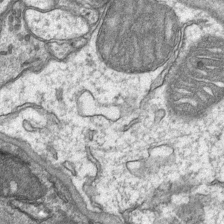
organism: Mouse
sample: CA1 Hippocampus